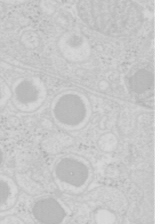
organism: Mouse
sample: Pancreas